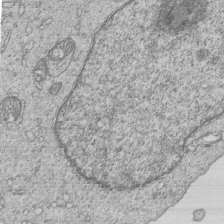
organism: Human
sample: MDA-MB-231 cells